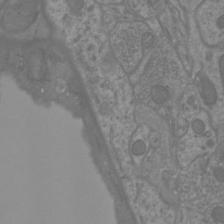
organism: Mouse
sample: Cortical neurons